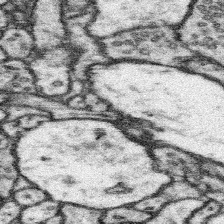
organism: Mouse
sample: Somatosensory cortex neuropil